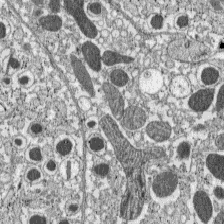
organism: C57BL Mouse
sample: Pancreatic islet